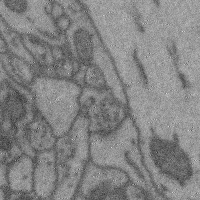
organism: Mouse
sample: Cerebral cortex